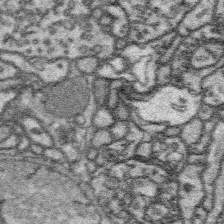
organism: Platynereis dumerilii